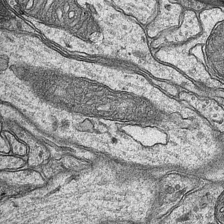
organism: Mouse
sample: CA1 Hippocampus